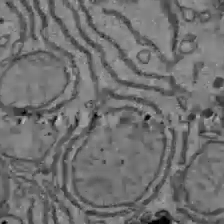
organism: C57BL Mouse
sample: Liver